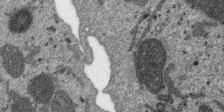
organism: Human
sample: Lung epithelial cells infected with SARS-CoV-2